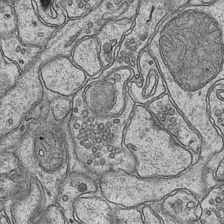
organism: Mouse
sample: CA1 Hippocampus